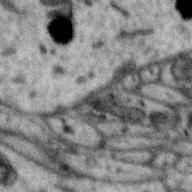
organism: Zebra finch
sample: Brain